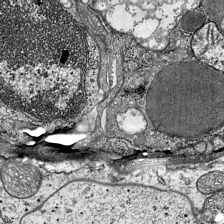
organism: Mouse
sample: Visual Cortex